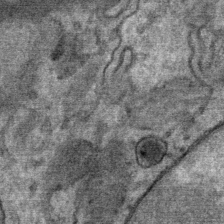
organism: Mouse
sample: Mouse Salivary gland